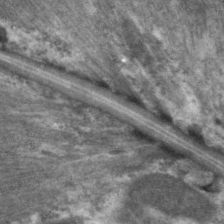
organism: C. elegans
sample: Pharynx